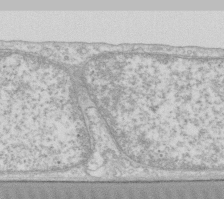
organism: Human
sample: Fibroblast cells